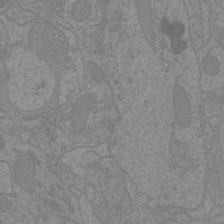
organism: Mouse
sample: Cortical neurons